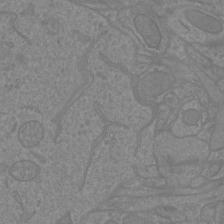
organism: Mouse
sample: Cortical neurons